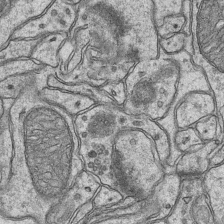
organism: Mouse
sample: CA1 Hippocampus